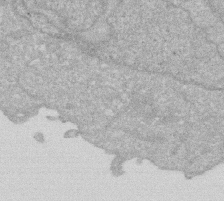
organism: Human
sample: HIV infected U937 cells